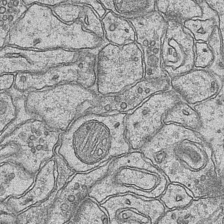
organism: Mouse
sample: CA1 Hippocampus